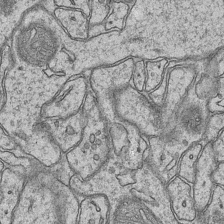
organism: Mouse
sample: CA1 Hippocampus